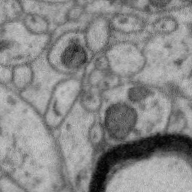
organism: Zebra finch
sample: Brain